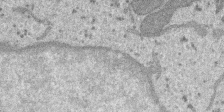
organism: Human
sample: Lung epithelial cells infected with SARS-CoV-2